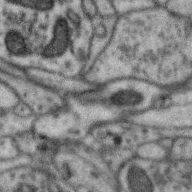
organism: Zebra finch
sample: Brain